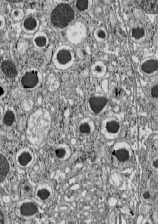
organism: C57BL Mouse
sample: Pancreatic islet